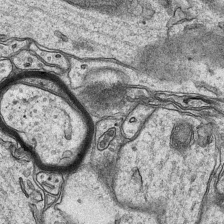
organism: Mouse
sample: CA1 Hippocampus